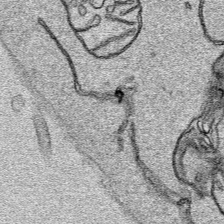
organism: Human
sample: Mitochondria in HCT116 cells